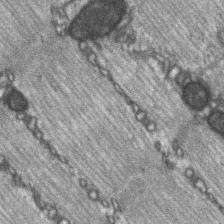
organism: C57BL Mouse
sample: Soleus